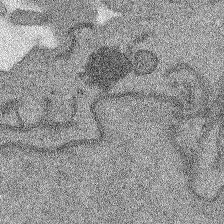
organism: Human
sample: HeLa cells